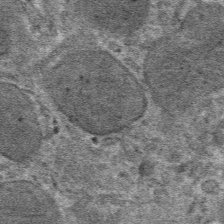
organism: Mouse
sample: Mouse hepatocytes